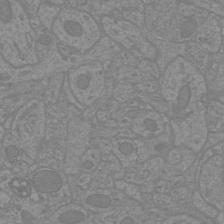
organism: Mouse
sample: Cortical neurons